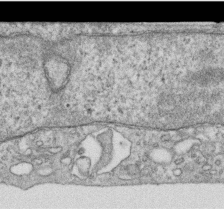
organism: Human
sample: Centriole in RPE cells